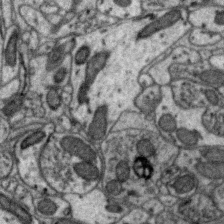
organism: Zebra finch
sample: Brain